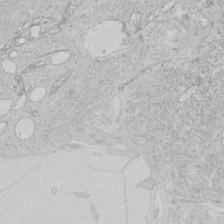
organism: Human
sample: Mitochondria in HCT116 cells